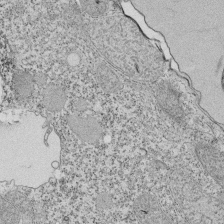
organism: Tetrahymena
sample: Cilia in tetrahymena